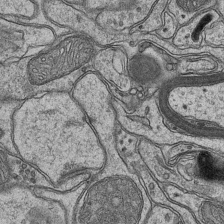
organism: Mouse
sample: CA1 Hippocampus